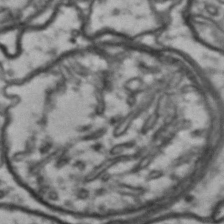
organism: Drosophila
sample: Brain